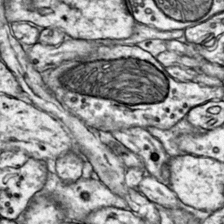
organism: Mouse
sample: Primary visual cortex